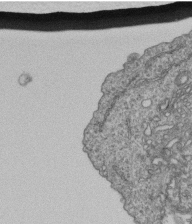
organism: Human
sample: Retinal organoid Rod and Cone cells